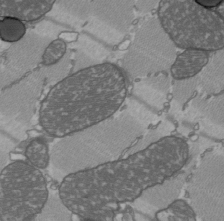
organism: C57BL Mouse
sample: Heart